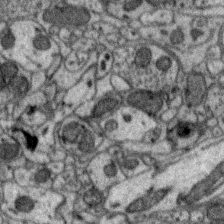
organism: Zebra finch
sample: Brain